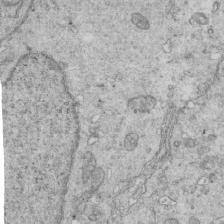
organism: Mouse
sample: Multiciliated cells